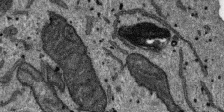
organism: Human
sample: Lung epithelial cells, uninfected (mock) control